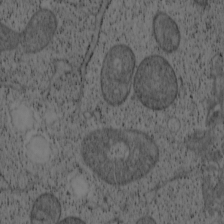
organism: African green monkey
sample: COS-7 cells